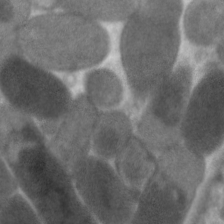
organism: C. elegans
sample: Pharynx